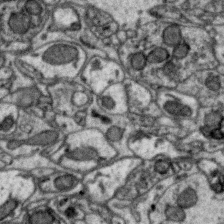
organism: Zebra finch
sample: Brain